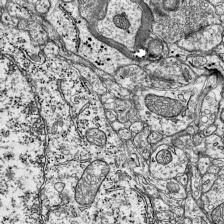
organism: Mouse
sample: Visual Cortex